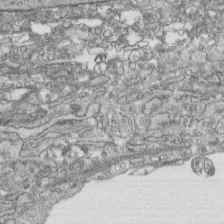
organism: Human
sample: CRL-1474